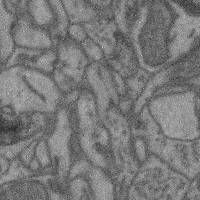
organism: Mouse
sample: Cerebral cortex